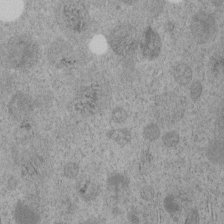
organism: C. elegans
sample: C. elegans embryo early stage